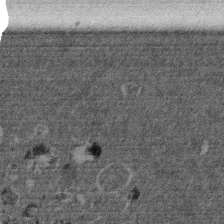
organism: Mouse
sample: Dividing mouse embryo 1 cell stage